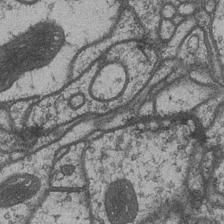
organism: Drosophila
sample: Optic medulla